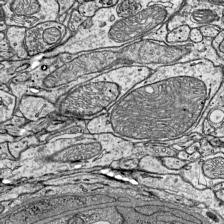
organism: Mouse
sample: Visual Cortex